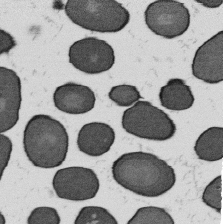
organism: B. subtilis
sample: Bacterial spore